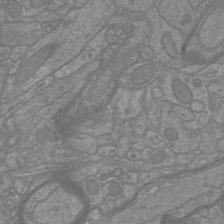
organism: Mouse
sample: Cortical neurons